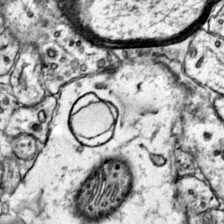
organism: Mouse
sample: Primary visual cortex